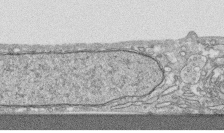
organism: Human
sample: CRL-1474